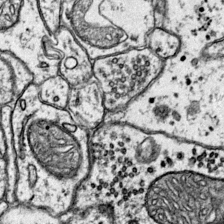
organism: Mouse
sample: Primary visual cortex